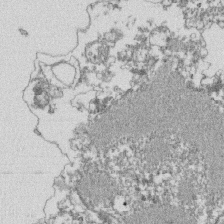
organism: Human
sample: HeLa cell HIV synapse